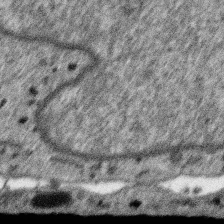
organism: Human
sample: Lung epithelial cells infected with SARS-CoV-2